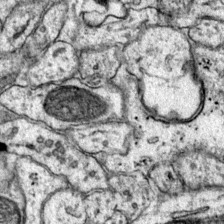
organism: Mouse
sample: Primary visual cortex